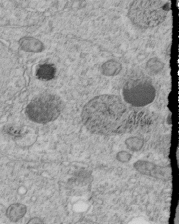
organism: C. elegans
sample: C. elegans embryo early stage